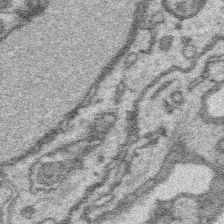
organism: Platynereis dumerilii